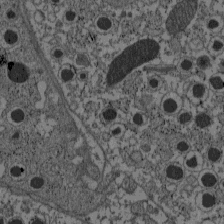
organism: C57BL Mouse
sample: Pancreatic islet